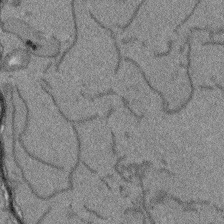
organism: Arabidopsis thaliana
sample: Root tip